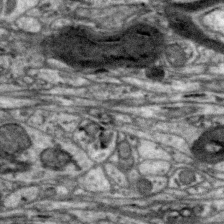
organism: Zebra finch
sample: Brain